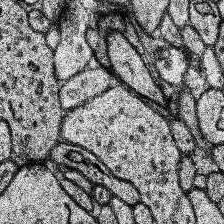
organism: Human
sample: Temporal Lobe